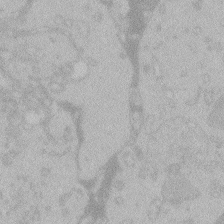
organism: Zebrafish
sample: Macrophage infected with Toxoplasma gondii